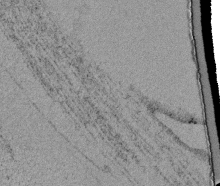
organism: Tetrahymena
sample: Cilia in tetrahymena